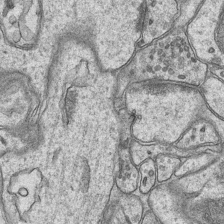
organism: Mouse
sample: CA1 Hippocampus